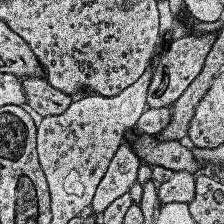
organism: Human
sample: Temporal Lobe